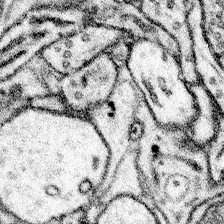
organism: Mouse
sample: Somatosensory cortex neuropil